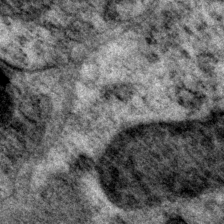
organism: P. pacificus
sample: Pharynx